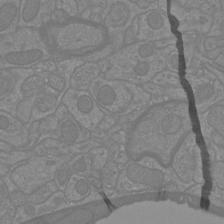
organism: Mouse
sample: Cortical neurons